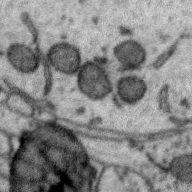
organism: Zebra finch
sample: Brain